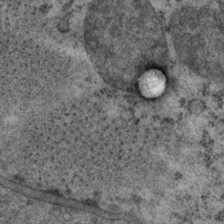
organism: P. pacificus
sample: Pharynx